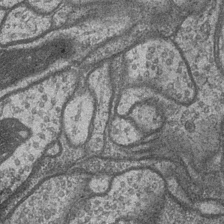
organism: Drosophila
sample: Optic medulla